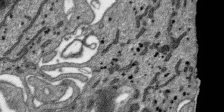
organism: Human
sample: Lung epithelial cells, uninfected (mock) control